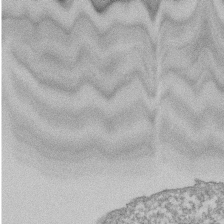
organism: Dictyostelium discoideum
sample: Dictyostelium multivesicular bodies